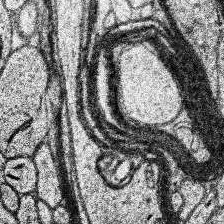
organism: Human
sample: Temporal Lobe